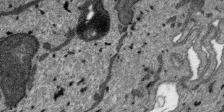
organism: Human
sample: Lung epithelial cells, uninfected (mock) control